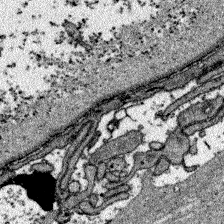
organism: Zebrafish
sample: Larval olfactory bulb